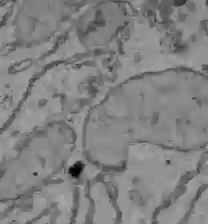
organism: C57BL Mouse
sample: Liver